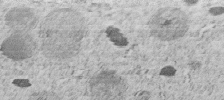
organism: C. elegans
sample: C. elegans embryo early stage